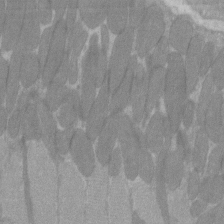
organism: C57BL Mouse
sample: Tibialis anterior muscle cell